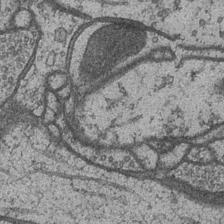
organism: Drosophila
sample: Optic medulla